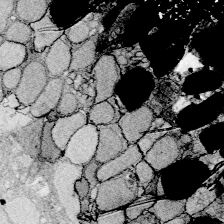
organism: Zebrafish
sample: Whole-Brain